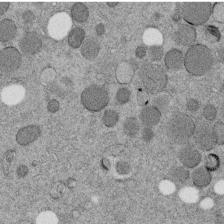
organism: C. elegans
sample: C. elegans embryo early stage